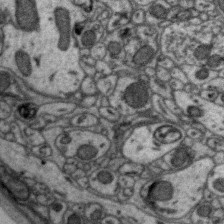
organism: Zebra finch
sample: Brain